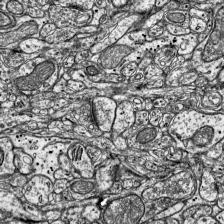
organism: Mouse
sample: Visual Cortex